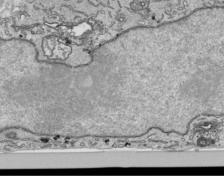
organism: Human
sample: Mitochondria in HCT116 cells